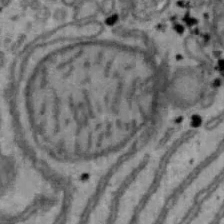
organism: Mouse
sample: Liver